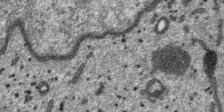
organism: Human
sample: Lung epithelial cells infected with SARS-CoV-2